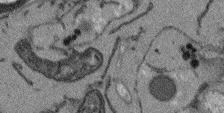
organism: Arabidopsis thaliana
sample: Root tip